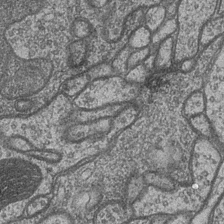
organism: Drosophila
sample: Optic medulla